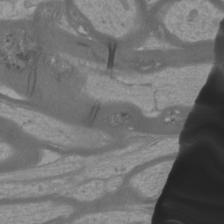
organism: Mouse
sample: Cortical neurons